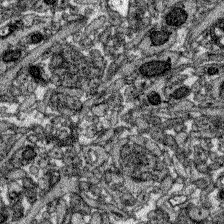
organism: Zebrafish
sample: Larval olfactory bulb